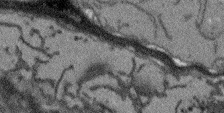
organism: Arabidopsis thaliana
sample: Root tip